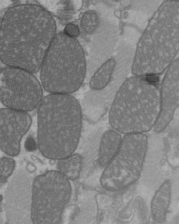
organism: C57BL Mouse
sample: Heart